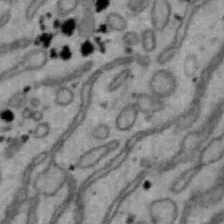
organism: Mouse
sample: Liver